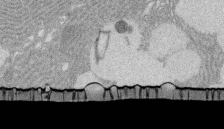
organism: Rat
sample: Salivary granule